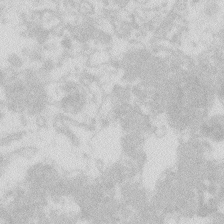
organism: Zebrafish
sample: Macrophage